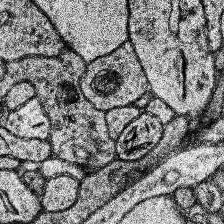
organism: Human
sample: Temporal Lobe